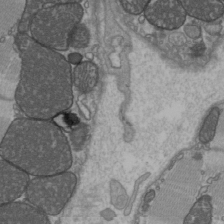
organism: C57BL Mouse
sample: Heart